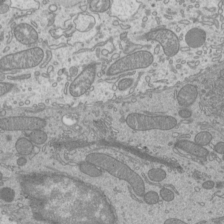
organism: Mouse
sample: Cilia; mouse epididymis